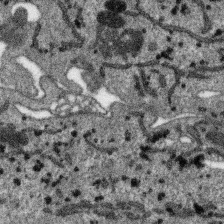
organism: Human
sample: Lung epithelial cells infected with SARS-CoV-2